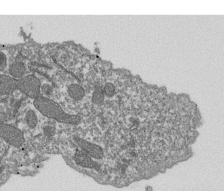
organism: Dictyostelium discoideum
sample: Dictyostelium multivesicular bodies